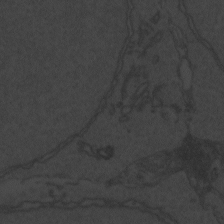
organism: Zebrafish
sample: Macrophage infected with Toxoplasma gondii